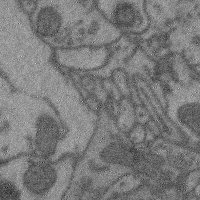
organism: Mouse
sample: Cerebral cortex